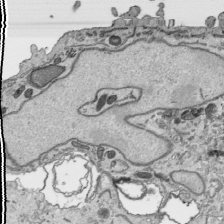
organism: Human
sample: Mitochondria in HCT116 cells